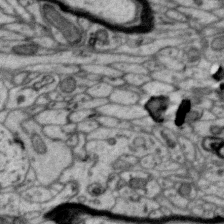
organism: Zebra finch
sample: Brain